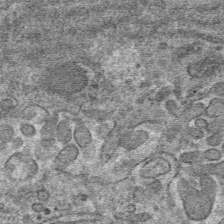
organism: Mouse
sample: Mouse hepatocytes